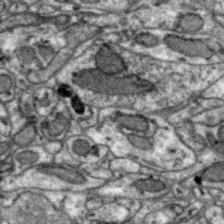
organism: Zebra finch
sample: Brain